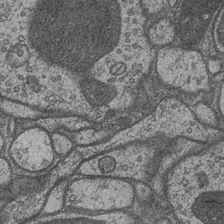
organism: Drosophila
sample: Optic medulla